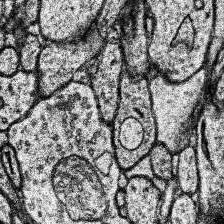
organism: Human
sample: Temporal Lobe